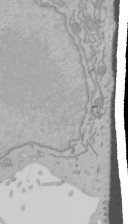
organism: Mouse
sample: Cancer cell death in ED-1 cells